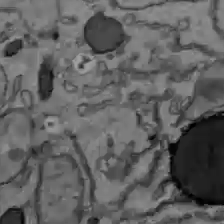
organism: C57BL Mouse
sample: Liver